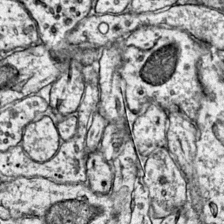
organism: Mouse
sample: Primary visual cortex